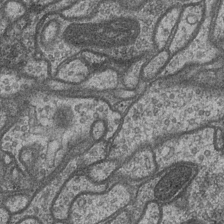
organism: Drosophila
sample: Optic medulla